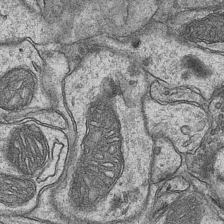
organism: Mouse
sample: CA1 Hippocampus